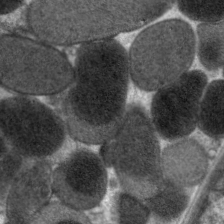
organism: C. elegans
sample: Pharynx